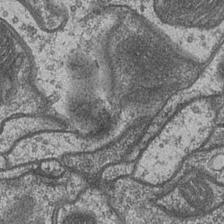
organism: Drosophila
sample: Optic medulla